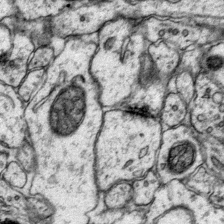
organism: Mouse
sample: Primary visual cortex